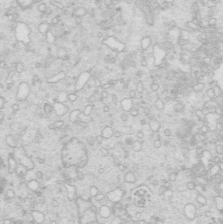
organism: Mouse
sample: Multiciliated cells